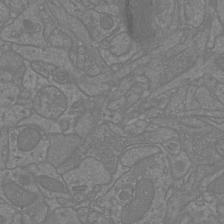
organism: Mouse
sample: Cortical neurons